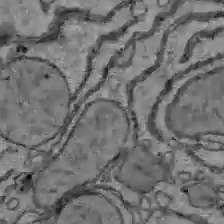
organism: C57BL Mouse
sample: Liver